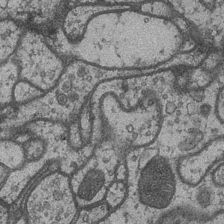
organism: Drosophila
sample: Optic medulla